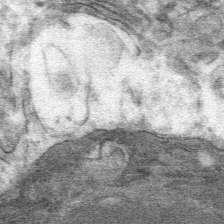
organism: Mouse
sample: Mouse hepatocytes